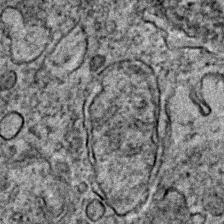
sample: Trachea